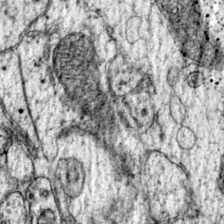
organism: Mouse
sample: Primary visual cortex